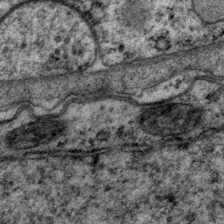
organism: P. pacificus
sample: Pharynx